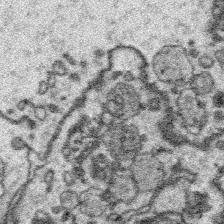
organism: Platynereis dumerilii